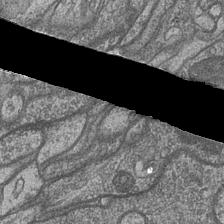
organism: Drosophila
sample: Optic medulla